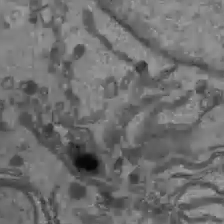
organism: C57BL Mouse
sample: Liver